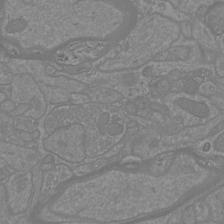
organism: Mouse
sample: Cortical neurons